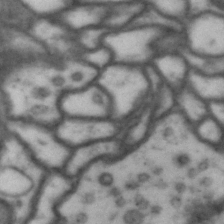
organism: Drosophila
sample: Brain